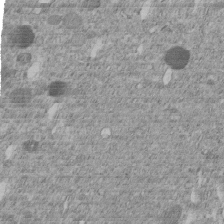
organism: C. elegans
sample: C. elegans embryo early stage